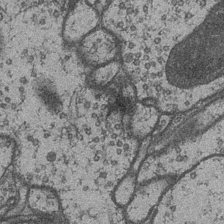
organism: Drosophila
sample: Optic medulla